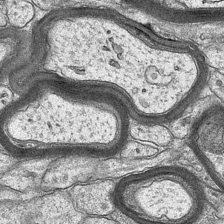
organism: Mouse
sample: CA1 Hippocampus